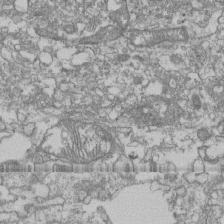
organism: Human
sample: Fibroblast cells